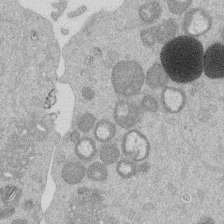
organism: Mouse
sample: Dividing mouse embryo 1 cell stage